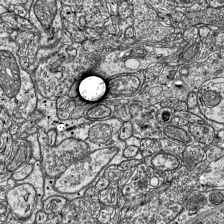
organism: Mouse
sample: Visual Cortex